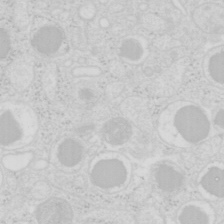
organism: Mouse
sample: Pancreas